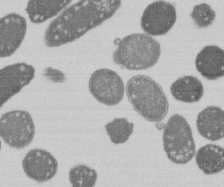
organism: E. coli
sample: Bacterial nucleoid